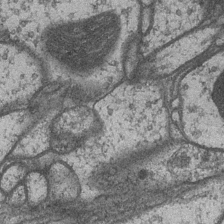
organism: Drosophila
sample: Optic medulla